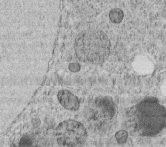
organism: C. elegans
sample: C. elegans embryo early stage